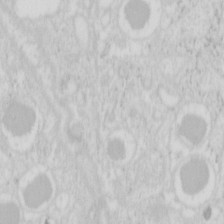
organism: Mouse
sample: Pancreas